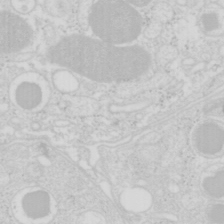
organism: Mouse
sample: Pancreas